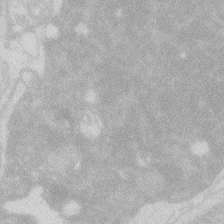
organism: Zebrafish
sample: Macrophage